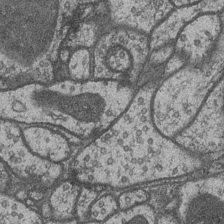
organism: Drosophila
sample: Optic medulla